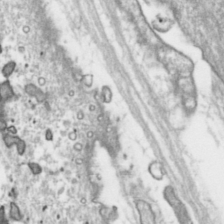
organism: Toxoplasma gondii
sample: Parasites in a vacuole inside a host cell